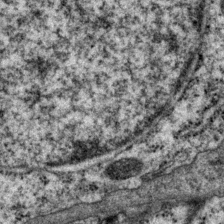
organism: P. pacificus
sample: Pharynx